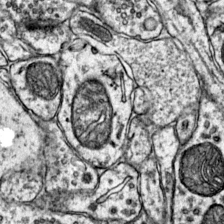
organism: Mouse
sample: Primary visual cortex